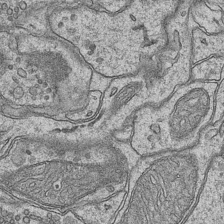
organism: Mouse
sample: CA1 Hippocampus